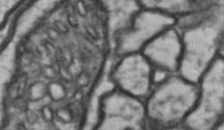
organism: Drosophila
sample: Brain